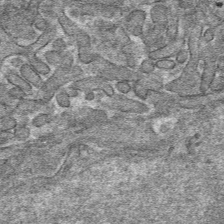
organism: Mouse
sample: Mouse hepatocytes